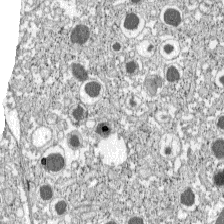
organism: C57BL Mouse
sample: Pancreatic islet